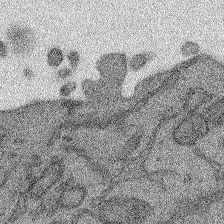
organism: Human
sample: HeLa cells